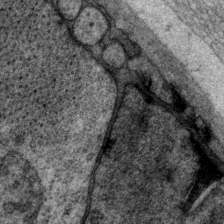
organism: P. pacificus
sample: Pharynx